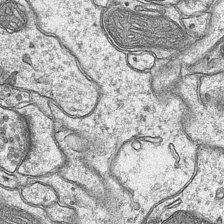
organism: Mouse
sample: CA1 Hippocampus